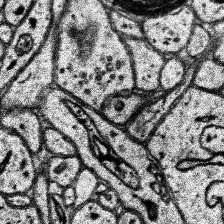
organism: Human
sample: Temporal Lobe